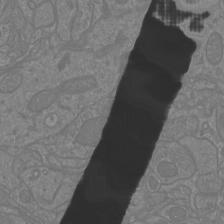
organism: Mouse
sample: Cortical neurons